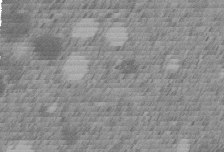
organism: C. elegans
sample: C. elegans embryo early stage